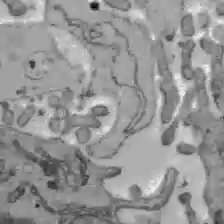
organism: C57BL Mouse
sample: Liver